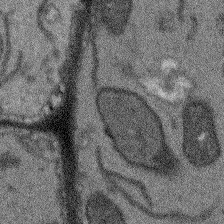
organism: Arabidopsis thaliana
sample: Root tip